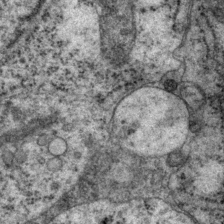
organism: P. pacificus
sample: Pharynx